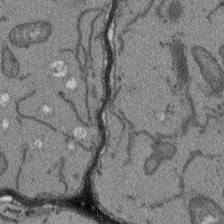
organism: Arabidopsis thaliana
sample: Root tip